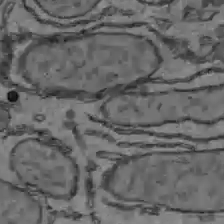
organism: C57BL Mouse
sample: Liver